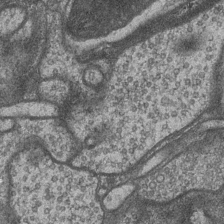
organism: Drosophila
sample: Optic medulla